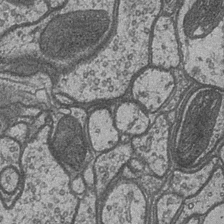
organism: Drosophila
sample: Optic medulla